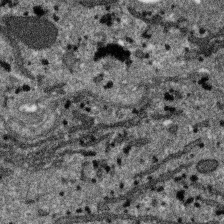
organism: Human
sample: Lung epithelial cells infected with SARS-CoV-2